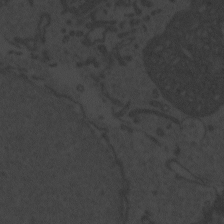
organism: Zebrafish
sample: Macrophage infected with Toxoplasma gondii